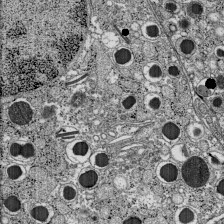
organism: C57BL Mouse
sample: Pancreatic islet